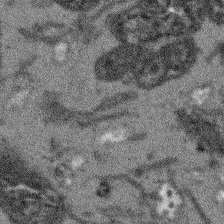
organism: Arabidopsis thaliana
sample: Root tip